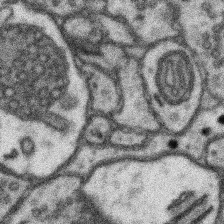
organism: Mouse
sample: Somatosensory cortex neuropil